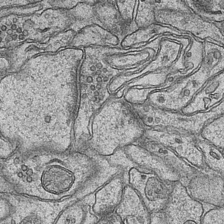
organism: Mouse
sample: CA1 Hippocampus